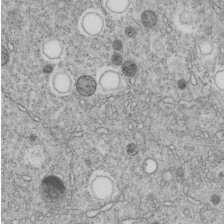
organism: C. elegans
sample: C. elegans embryo early stage